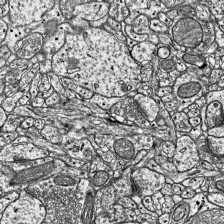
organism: Mouse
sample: Visual Cortex